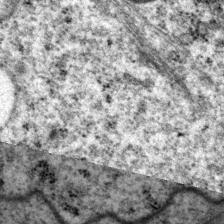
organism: P. pacificus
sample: Pharynx